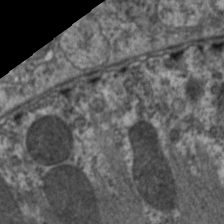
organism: C. elegans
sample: Pharynx